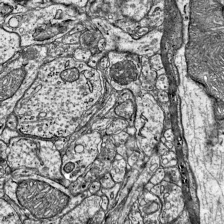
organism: Mouse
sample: Visual Cortex